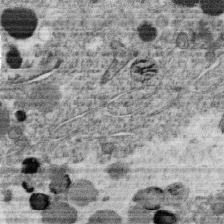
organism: C. elegans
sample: C. elegans oocyte; sperm cells